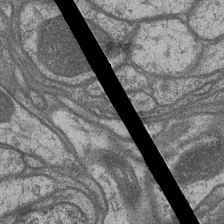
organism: Drosophila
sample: Optic medulla